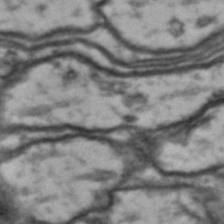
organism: Drosophila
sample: Brain